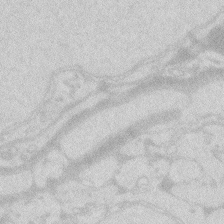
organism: Zebrafish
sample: Macrophage